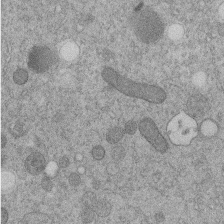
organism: C. elegans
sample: C. elegans embryo early stage